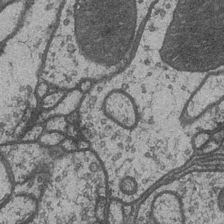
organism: Drosophila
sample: Optic medulla